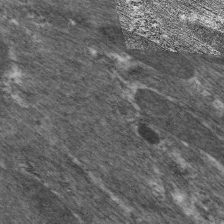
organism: C. elegans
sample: Pharynx